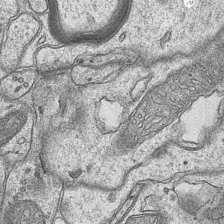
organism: Mouse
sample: CA1 Hippocampus